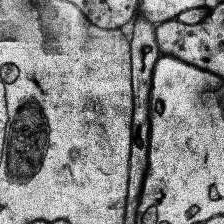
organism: Human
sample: Temporal Lobe